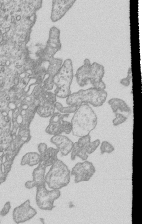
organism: Human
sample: MDA-MB-231 cells